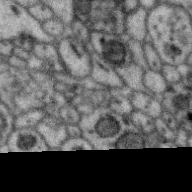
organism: Zebra finch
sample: Brain